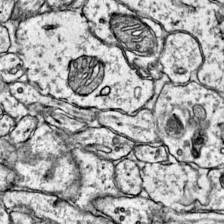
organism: Mouse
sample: Primary visual cortex